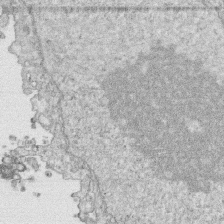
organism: Human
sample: HeLa cell HIV synapse